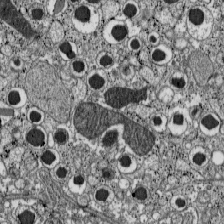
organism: C57BL Mouse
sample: Pancreatic islet